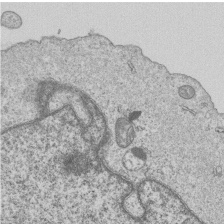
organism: Human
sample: MDA-MB-231 cells